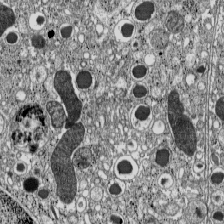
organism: C57BL Mouse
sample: Pancreatic islet